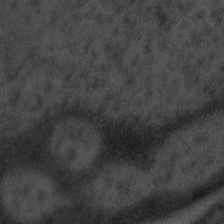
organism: Tuwongella immobilis